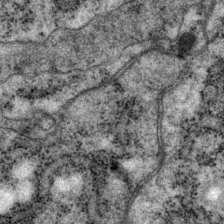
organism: P. pacificus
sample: Pharynx